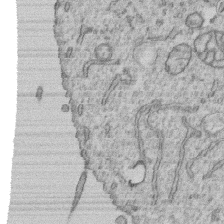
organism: Human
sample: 1205lu cells